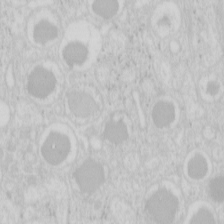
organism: Mouse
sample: Pancreas